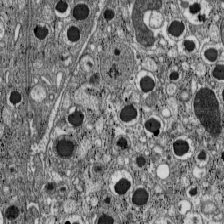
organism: C57BL Mouse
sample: Pancreatic islet